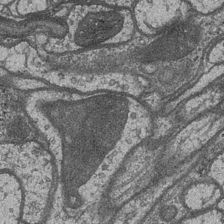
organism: Drosophila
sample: Optic medulla